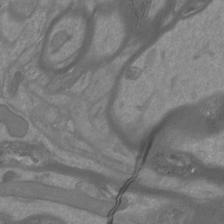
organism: Mouse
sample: Cortical neurons